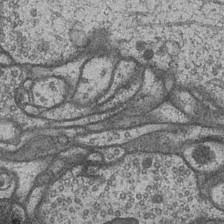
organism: Drosophila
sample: Optic medulla